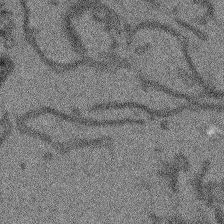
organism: Arabidopsis thaliana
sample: Root tip